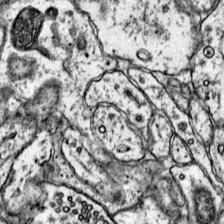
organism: Mouse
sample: Primary visual cortex